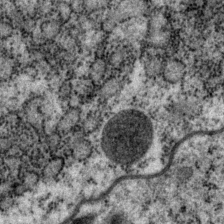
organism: P. pacificus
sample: Pharynx